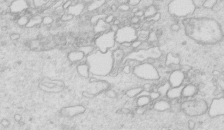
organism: Mouse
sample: Multiciliated cells